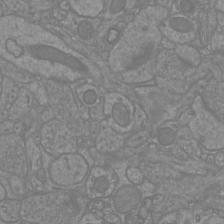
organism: Mouse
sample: Cortical neurons